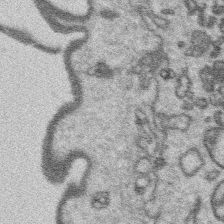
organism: Platynereis dumerilii